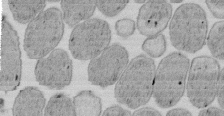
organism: E. coli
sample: Bacterial nucleoid